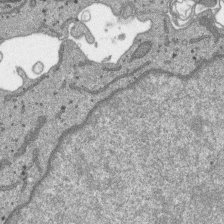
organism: Human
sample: Lung epithelial cells infected with SARS-CoV-2